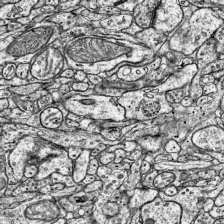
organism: Mouse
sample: Visual Cortex